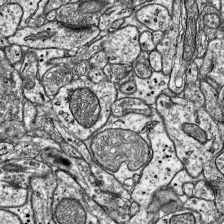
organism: Mouse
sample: Visual Cortex